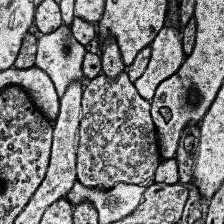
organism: Human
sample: Temporal Lobe